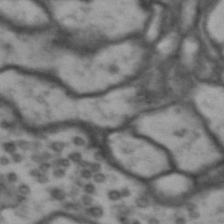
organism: Drosophila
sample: Brain